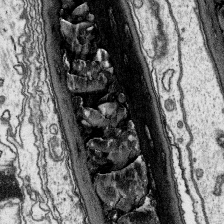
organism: Platynereis dumerilii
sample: Parapodia